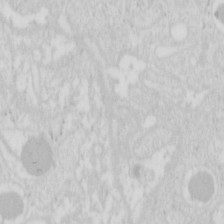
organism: Mouse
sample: Pancreas